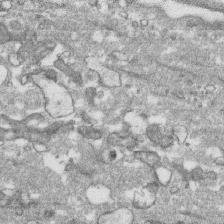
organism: Human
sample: CRL-1474